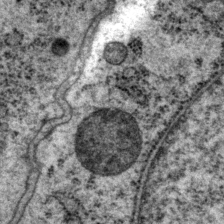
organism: P. pacificus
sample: Pharynx